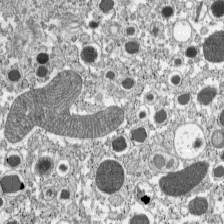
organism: C57BL Mouse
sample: Pancreatic islet